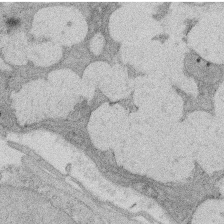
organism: Rat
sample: Salivary granule